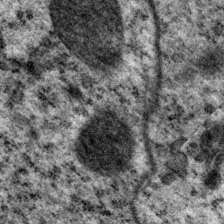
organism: P. pacificus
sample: Pharynx